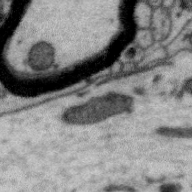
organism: Zebra finch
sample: Brain